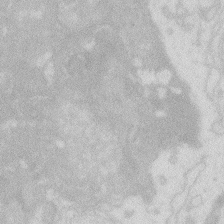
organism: Zebrafish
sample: Macrophage